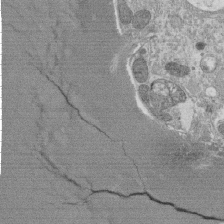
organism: Tetrahymena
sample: Cilia in tetrahymena